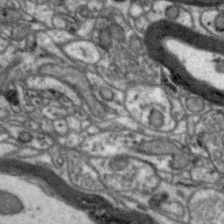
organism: Zebra finch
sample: Brain